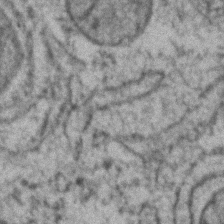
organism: Zebrafish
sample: Zebrafish embryo